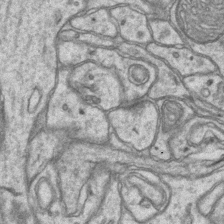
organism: Mouse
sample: CA1 Hippocampus